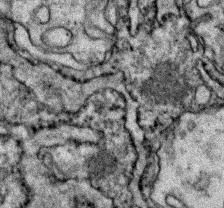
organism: Zebrafish